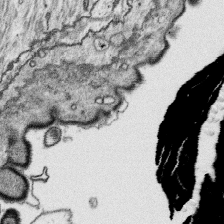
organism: Platynereis dumerilii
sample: Parapodia